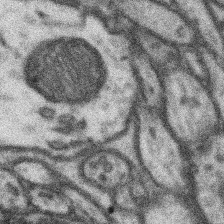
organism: Mouse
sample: Somatosensory cortex neuropil